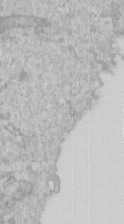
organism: Human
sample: Centriole in RPE cells